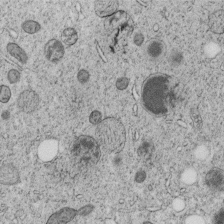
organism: C. elegans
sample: C. elegans embryo early stage